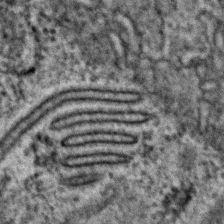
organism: C. elegans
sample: C. elegans embryo